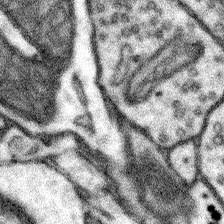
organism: Mouse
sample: Somatosensory cortex neuropil